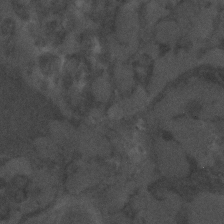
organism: C. elegans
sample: C. elegans embryo